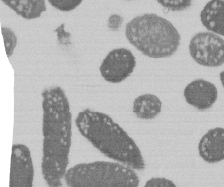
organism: E. coli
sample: Bacterial nucleoid